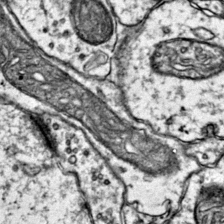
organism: Mouse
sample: Primary visual cortex